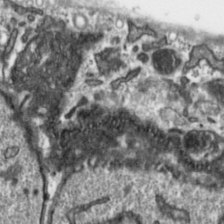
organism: Toxoplasma gondii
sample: Parasites in a vacuole inside a host cell